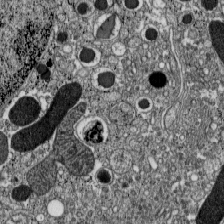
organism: C57BL Mouse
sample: Pancreatic islet